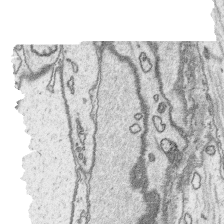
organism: Platynereis dumerilii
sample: Parapodia